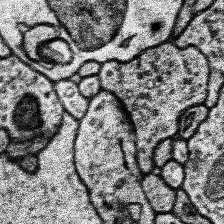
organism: Human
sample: Temporal Lobe